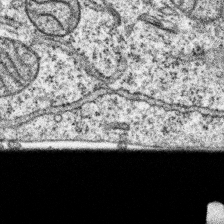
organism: Human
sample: HeLa cells